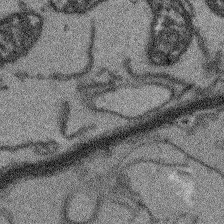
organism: Arabidopsis thaliana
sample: Root tip